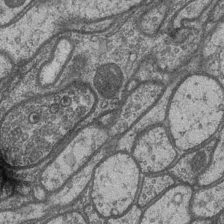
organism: Drosophila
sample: Optic medulla